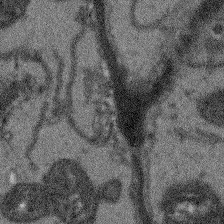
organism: Arabidopsis thaliana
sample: Root tip